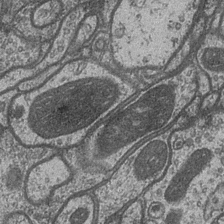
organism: Drosophila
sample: Optic medulla